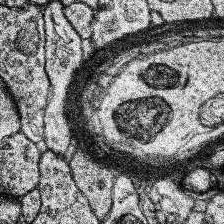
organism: Human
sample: Temporal Lobe